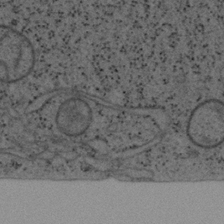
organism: Human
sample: HeLa cells